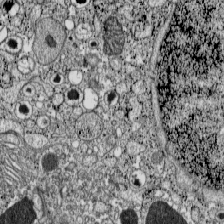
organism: C57BL Mouse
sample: Pancreatic islet